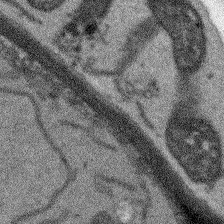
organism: Arabidopsis thaliana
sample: Root tip